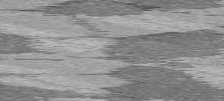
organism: C57BL Mouse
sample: Heart